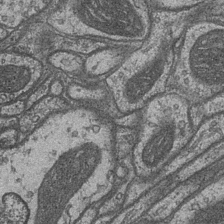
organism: Drosophila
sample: Optic medulla